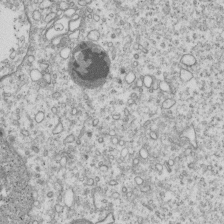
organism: Human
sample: MDA-MB-231 cells